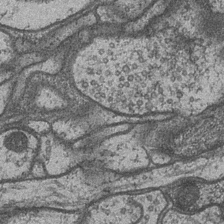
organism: Drosophila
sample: Optic medulla